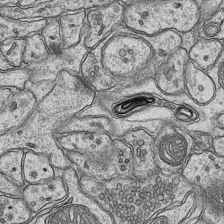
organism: Mouse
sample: CA1 Hippocampus